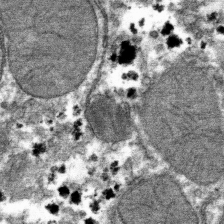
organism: Mouse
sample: Mouse hepatocytes